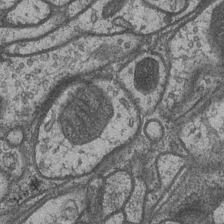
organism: Drosophila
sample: Optic medulla